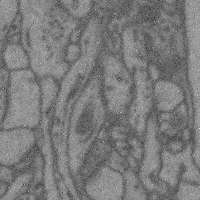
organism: Mouse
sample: Cerebral cortex